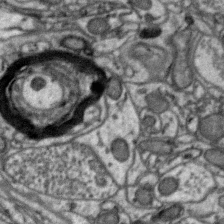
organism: Zebra finch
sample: Brain